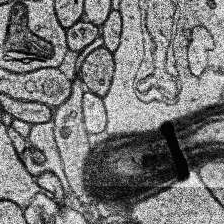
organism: Human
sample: Temporal Lobe